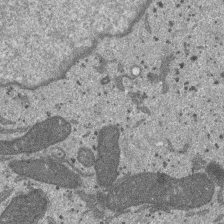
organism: Human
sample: Lung epithelial cells infected with SARS-CoV-2